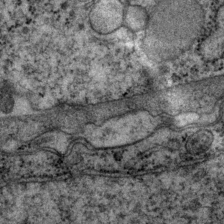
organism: P. pacificus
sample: Pharynx